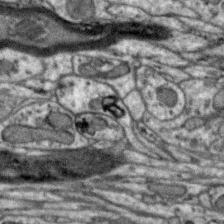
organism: Zebra finch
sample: Brain